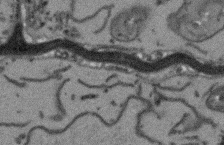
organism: Arabidopsis thaliana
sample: Root tip